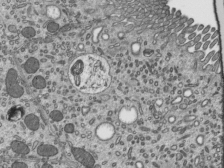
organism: Mouse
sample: Mouse epididymis efferent ductule cilia